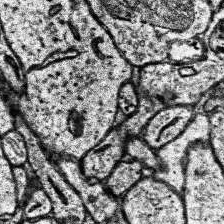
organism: Human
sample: Temporal Lobe